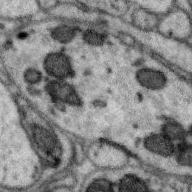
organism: Zebra finch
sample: Brain